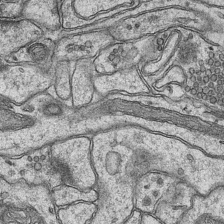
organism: Mouse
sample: CA1 Hippocampus